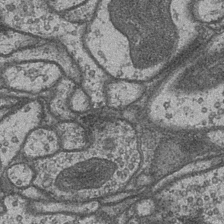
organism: Drosophila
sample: Optic medulla